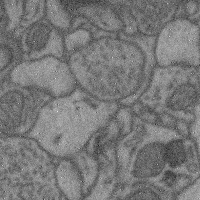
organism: Mouse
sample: Cerebral cortex